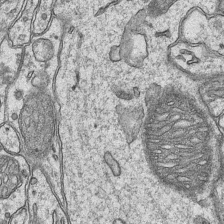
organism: Mouse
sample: CA1 Hippocampus